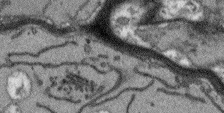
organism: Arabidopsis thaliana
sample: Root tip